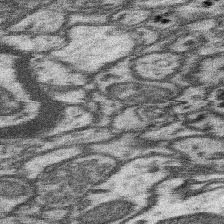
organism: Mouse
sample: Somatosensory cortex neuropil